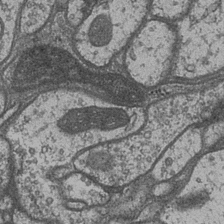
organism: Drosophila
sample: Optic medulla